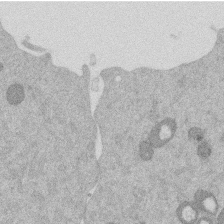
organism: Mouse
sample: Dividing mouse embryo 1 cell stage